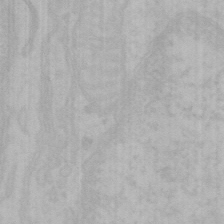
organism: Mouse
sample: Choroid plexus